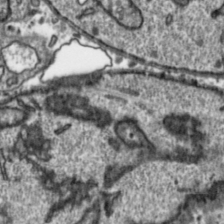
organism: Toxoplasma gondii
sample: Parasites in a vacuole inside a host cell